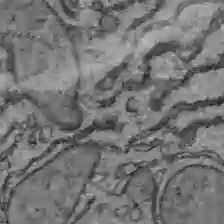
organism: C57BL Mouse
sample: Liver